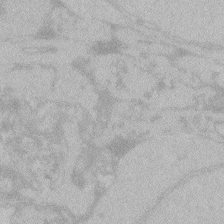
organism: Zebrafish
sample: Macrophage infected with Toxoplasma gondii